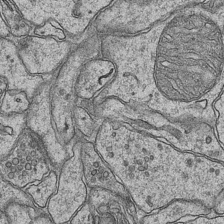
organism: Mouse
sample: CA1 Hippocampus